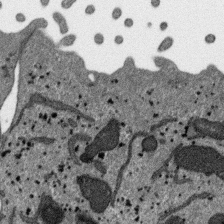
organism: Human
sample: Lung epithelial cells, uninfected (mock) control